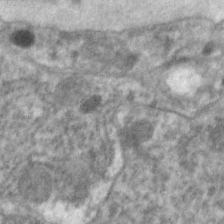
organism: C. elegans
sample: Pharynx